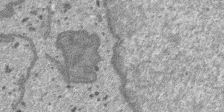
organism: Human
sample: Lung epithelial cells infected with SARS-CoV-2